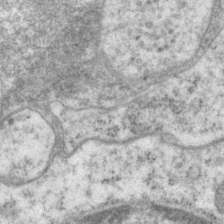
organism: P. pacificus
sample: Pharynx